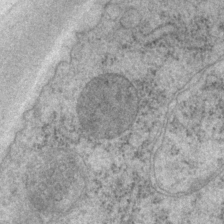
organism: P. pacificus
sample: Pharynx